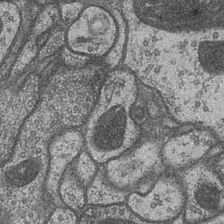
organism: Drosophila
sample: Optic medulla